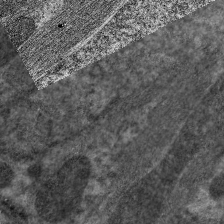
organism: C. elegans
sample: Pharynx